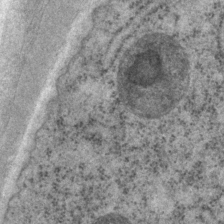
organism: P. pacificus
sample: Pharynx